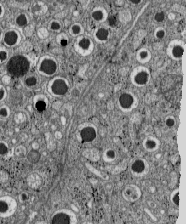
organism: C57BL Mouse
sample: Pancreatic islet